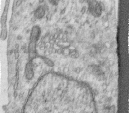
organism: Human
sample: Centriole in RPE cells